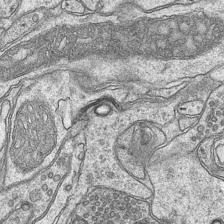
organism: Mouse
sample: CA1 Hippocampus